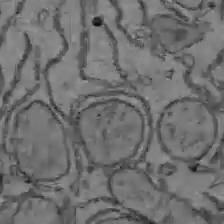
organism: C57BL Mouse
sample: Liver